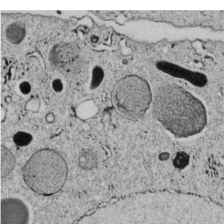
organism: C. elegans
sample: C. elegans embryo early stage